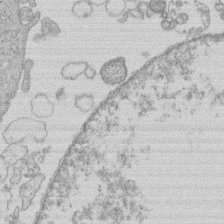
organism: Human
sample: Macrophage cells